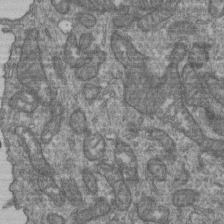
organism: Human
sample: Retinal organoid Rod and Cone cells